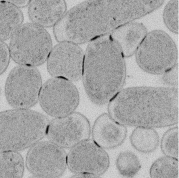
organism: E. coli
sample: Bacterial nucleoid